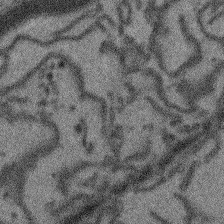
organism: Arabidopsis thaliana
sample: Root tip